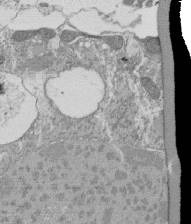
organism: Tetrahymena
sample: Cilia in tetrahymena